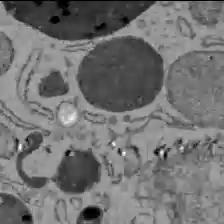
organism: C57BL Mouse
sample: Liver